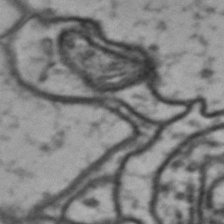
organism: Drosophila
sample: Brain